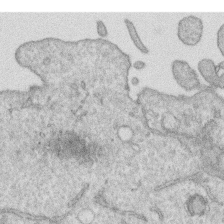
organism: Human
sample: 1205lu cells